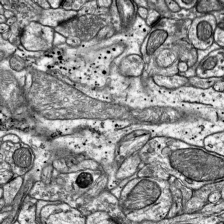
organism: Mouse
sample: Visual Cortex